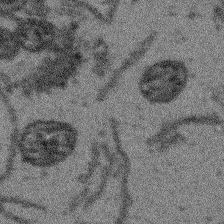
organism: Arabidopsis thaliana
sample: Root tip